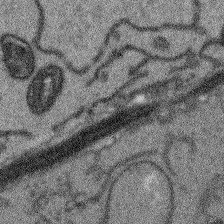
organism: Arabidopsis thaliana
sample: Root tip